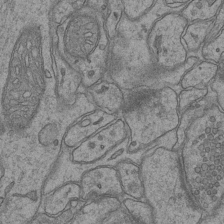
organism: Mouse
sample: CA1 Hippocampus